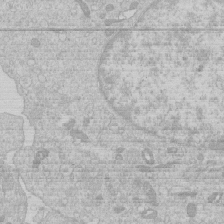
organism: Human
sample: Macrophage cells